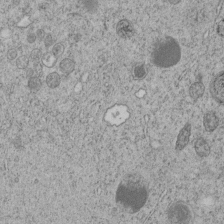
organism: C. elegans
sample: C. elegans embryo early stage